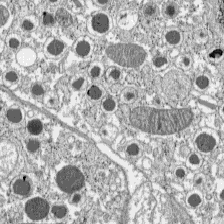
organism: C57BL Mouse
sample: Pancreatic islet